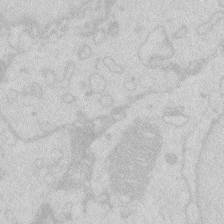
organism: Zebrafish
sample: Macrophage